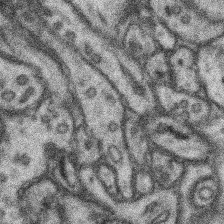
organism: Mouse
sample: Somatosensory cortex neuropil